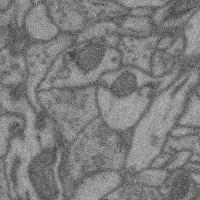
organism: Mouse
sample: Cerebral cortex